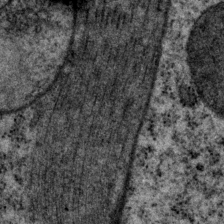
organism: P. pacificus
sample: Pharynx